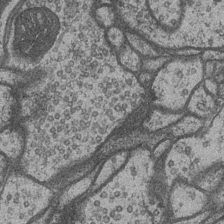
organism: Drosophila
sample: Optic medulla